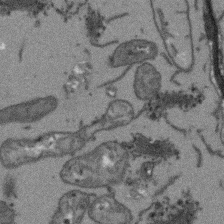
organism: Arabidopsis thaliana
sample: Root tip